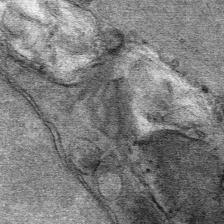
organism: Mouse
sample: Mouse Salivary gland